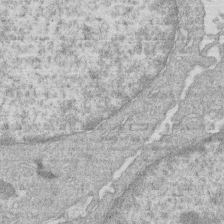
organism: Human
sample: Macrophage cells